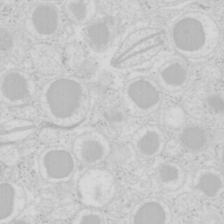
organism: Mouse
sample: Pancreas